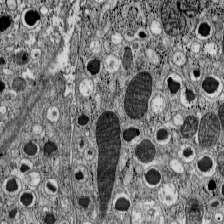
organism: C57BL Mouse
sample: Pancreatic islet